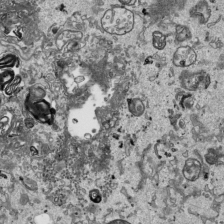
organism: Human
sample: Mitochondria in HCT116 cells